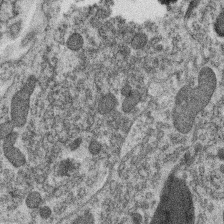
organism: C. elegans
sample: C. elegans oocyte; sperm cells